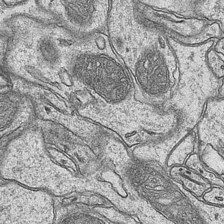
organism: Mouse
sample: CA1 Hippocampus